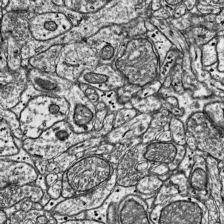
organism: Mouse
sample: Visual Cortex